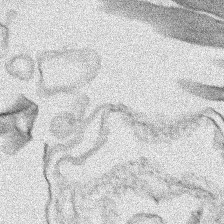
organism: Human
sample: Mitochondria in HCT116 cells